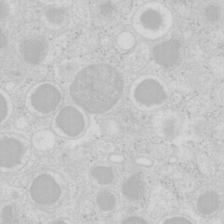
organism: Mouse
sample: Pancreas